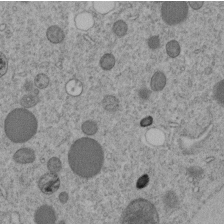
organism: C. elegans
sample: C. elegans embryo early stage